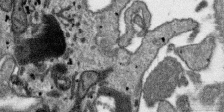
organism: Human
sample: Lung epithelial cells, uninfected (mock) control